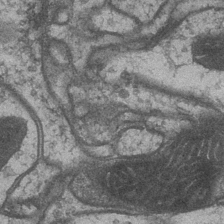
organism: Drosophila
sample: Optic medulla